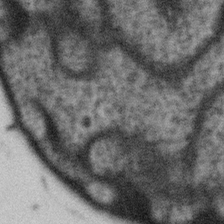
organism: Gemmata obscuriglobus